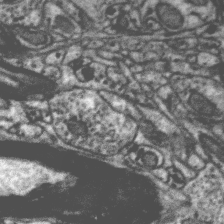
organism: Zebra finch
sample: Brain